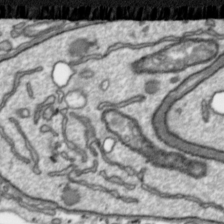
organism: Toxoplasma gondii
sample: Parasites in a vacuole inside a host cell